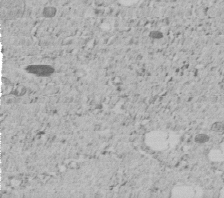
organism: C. elegans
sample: C. elegans embryo early stage